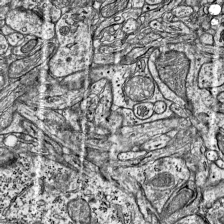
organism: Mouse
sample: Visual Cortex